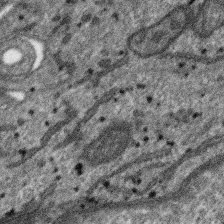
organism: Human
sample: Lung epithelial cells infected with SARS-CoV-2